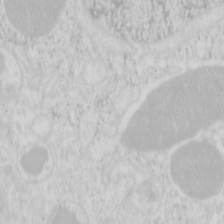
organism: Mouse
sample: Pancreas